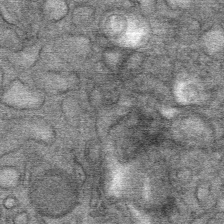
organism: Mouse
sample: Mouse Salivary gland